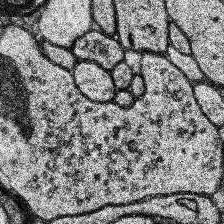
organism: Human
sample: Temporal Lobe